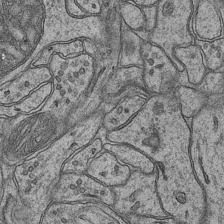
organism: Mouse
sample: CA1 Hippocampus